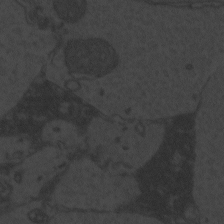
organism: Zebrafish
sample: Macrophage infected with Toxoplasma gondii